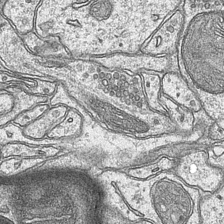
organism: Mouse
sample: CA1 Hippocampus